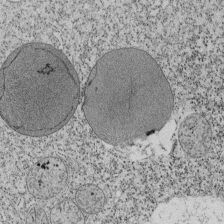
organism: Tetrahymena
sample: Cilia in tetrahymena